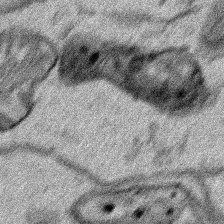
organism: Human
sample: Mitochondria in HCT116 cells